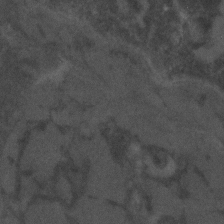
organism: C. elegans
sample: C. elegans embryo